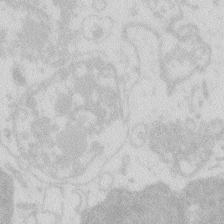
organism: Zebrafish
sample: Macrophage